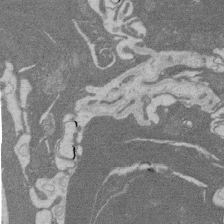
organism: Rat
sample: Salivary granule